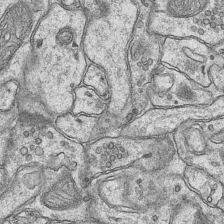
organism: Mouse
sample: CA1 Hippocampus